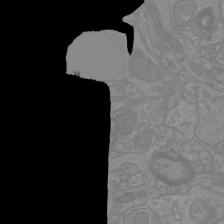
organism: Mouse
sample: Cortical neurons